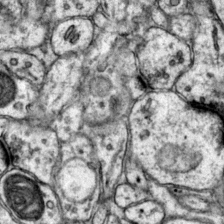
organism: Mouse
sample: Primary visual cortex